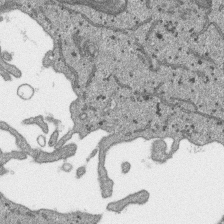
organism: Human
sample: Lung epithelial cells infected with SARS-CoV-2